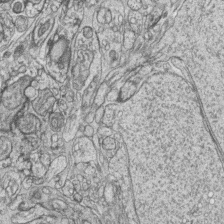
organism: Zebrafish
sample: synaptic ribbons in rod cells and cone cells